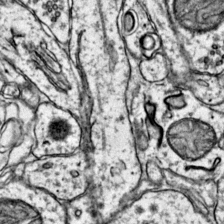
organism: Mouse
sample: Primary visual cortex